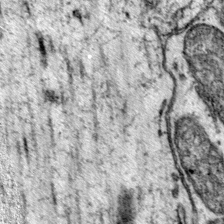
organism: Mouse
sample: Primary visual cortex